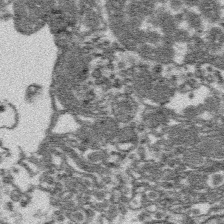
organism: Platynereis dumerilii